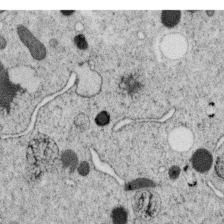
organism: C. elegans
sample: C. elegans oocyte; sperm cells